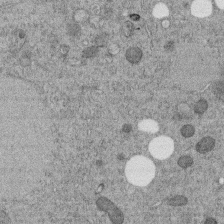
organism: C. elegans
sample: C. elegans embryo early stage